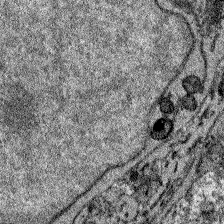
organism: Zebrafish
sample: Larval olfactory bulb